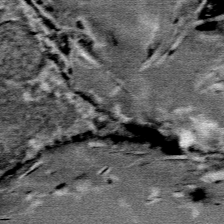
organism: Mouse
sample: Mouse Salivary gland